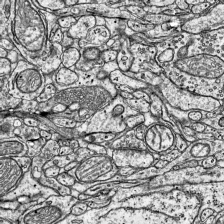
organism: Mouse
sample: Visual Cortex